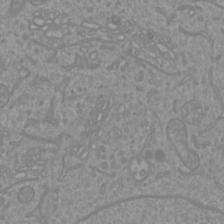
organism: Mouse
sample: Cortical neurons